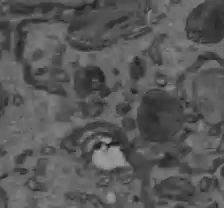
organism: C57BL Mouse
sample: Liver